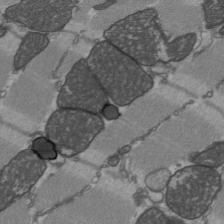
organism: C57BL Mouse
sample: Heart